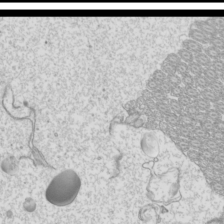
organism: Mouse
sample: Cilia; mouse epididymis